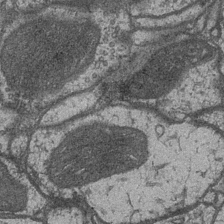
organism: Drosophila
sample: Optic medulla